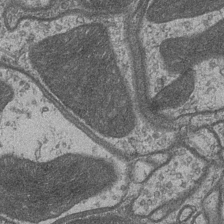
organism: Drosophila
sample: Optic medulla